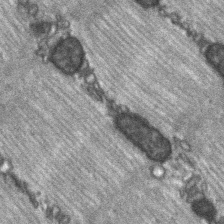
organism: C57BL Mouse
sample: Soleus